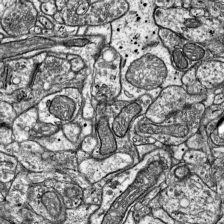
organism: Mouse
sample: Visual Cortex